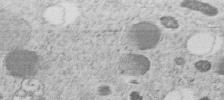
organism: C. elegans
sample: C. elegans embryo early stage